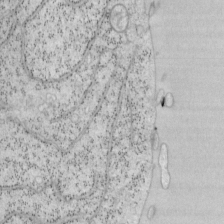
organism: Mouse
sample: OT-I killer T cells with ID8 ovarian cancer cells